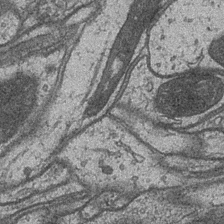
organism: Drosophila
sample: Optic medulla